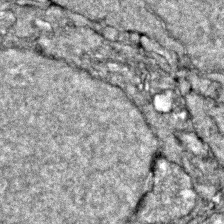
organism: Zebrafish